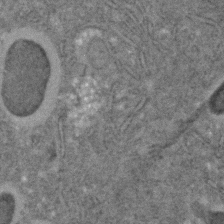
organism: C. elegans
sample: C. elegans embryo